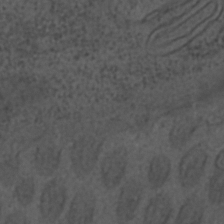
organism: C. elegans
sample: C. elegans embryo